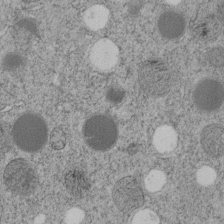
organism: C. elegans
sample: C. elegans embryo early stage